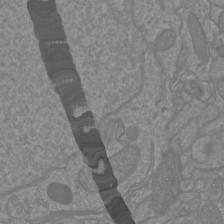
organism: Mouse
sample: Cortical neurons